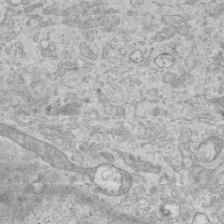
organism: Mouse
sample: Centriole in ependymal cells